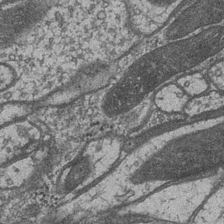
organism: Drosophila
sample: Optic medulla